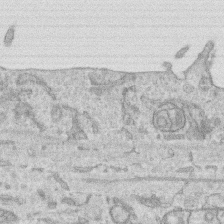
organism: Human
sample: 1205lu cells